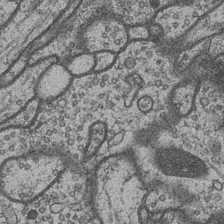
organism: Drosophila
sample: Optic medulla